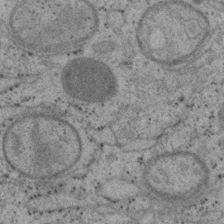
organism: Human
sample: HeLa cells